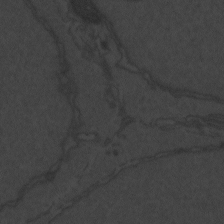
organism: Zebrafish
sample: Macrophage infected with Toxoplasma gondii